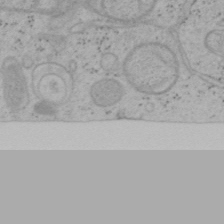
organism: Human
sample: HeLa cells